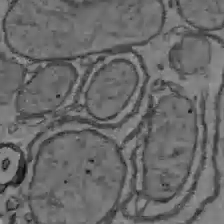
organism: C57BL Mouse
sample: Liver